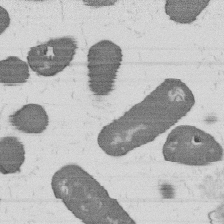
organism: B. subtilis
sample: Bacterial spore